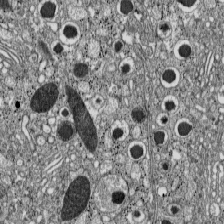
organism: C57BL Mouse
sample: Pancreatic islet